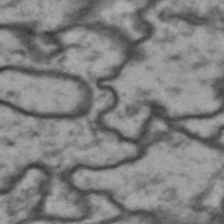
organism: Drosophila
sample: Brain